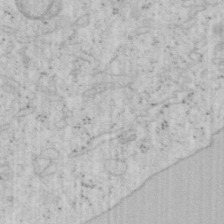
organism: Human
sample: HeLa cells